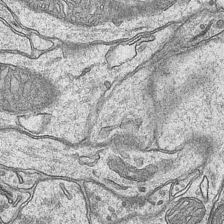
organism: Mouse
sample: CA1 Hippocampus